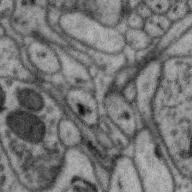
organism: Zebra finch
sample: Brain